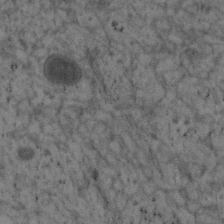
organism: Human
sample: HeLa cells